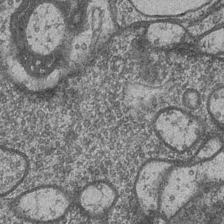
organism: Drosophila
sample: Optic medulla